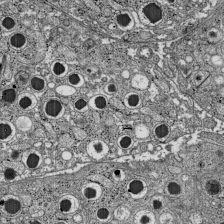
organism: C57BL Mouse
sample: Pancreatic islet